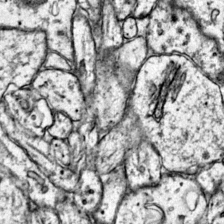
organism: Mouse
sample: Primary visual cortex